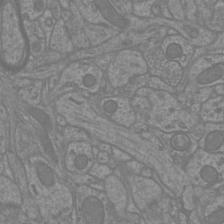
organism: Mouse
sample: Cortical neurons